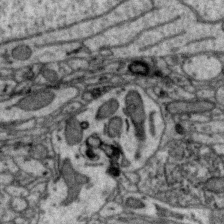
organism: Zebra finch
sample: Brain